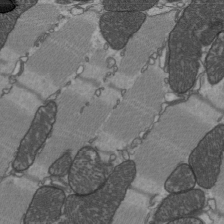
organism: C57BL Mouse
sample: Heart